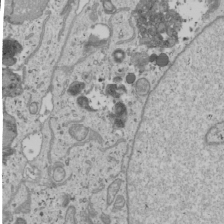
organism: Human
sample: Mitochondria in U2OS cells